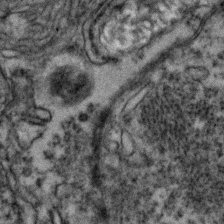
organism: Zebrafish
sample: Zebrafish embryo